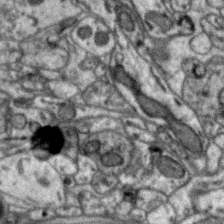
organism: Zebra finch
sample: Brain